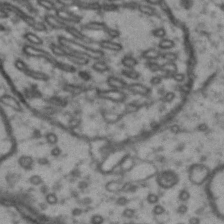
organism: Drosophila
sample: Brain